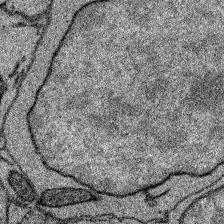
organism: Zebrafish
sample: Larval olfactory bulb